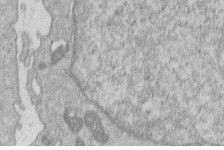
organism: Human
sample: Macrophage cells